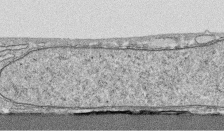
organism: Human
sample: CRL-1474